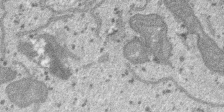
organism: Human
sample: Lung epithelial cells infected with SARS-CoV-2